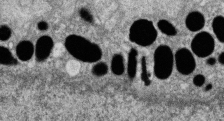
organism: Zebrafish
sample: Cilia; retinal pigment epithelium